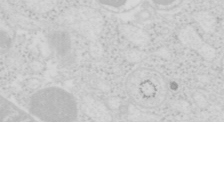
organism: Mouse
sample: Pancreas